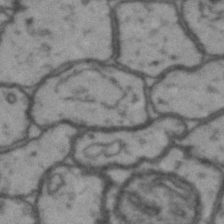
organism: Drosophila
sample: Brain